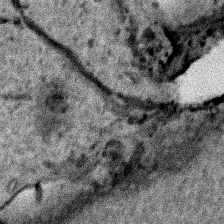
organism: Human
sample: Mitochondria in HCT116 cells